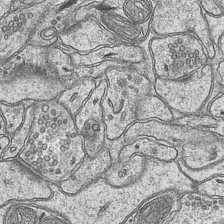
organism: Mouse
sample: CA1 Hippocampus